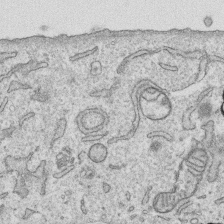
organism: Human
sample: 1205lu cells